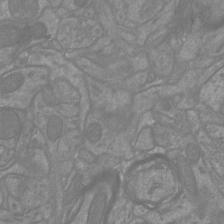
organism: Mouse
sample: Cortical neurons